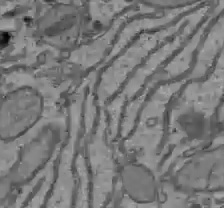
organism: C57BL Mouse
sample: Liver